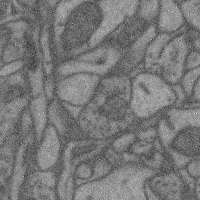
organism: Mouse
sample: Cerebral cortex